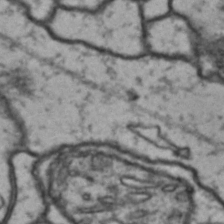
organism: Drosophila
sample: Brain